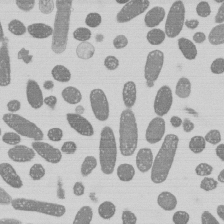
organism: E. coli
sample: Bacterial nucleoid